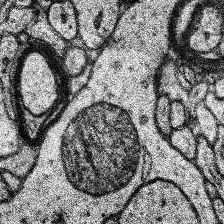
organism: Human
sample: Temporal Lobe